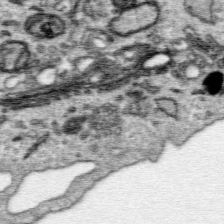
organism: Human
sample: HeLa cells